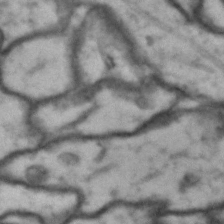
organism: Drosophila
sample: Brain